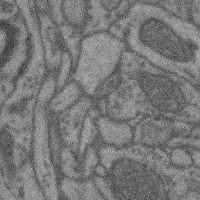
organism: Mouse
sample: Cerebral cortex